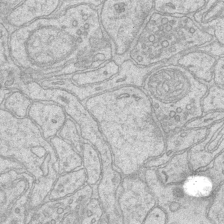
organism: Mouse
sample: CA1 Hippocampus